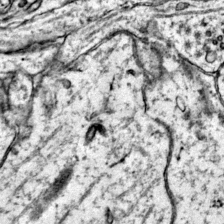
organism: Mouse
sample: Primary visual cortex